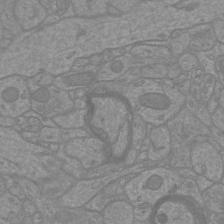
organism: Mouse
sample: Cortical neurons